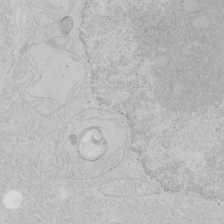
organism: Human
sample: Mitochondria in HCT116 cells